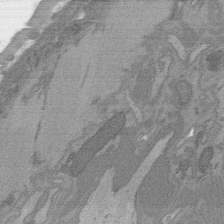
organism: C. elegans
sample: AFD neurons C. elegans